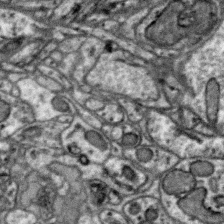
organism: Zebra finch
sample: Brain